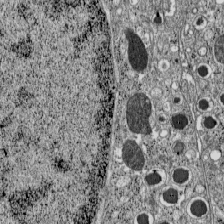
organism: C57BL Mouse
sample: Pancreatic islet